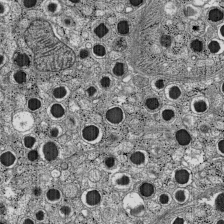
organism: C57BL Mouse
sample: Pancreatic islet